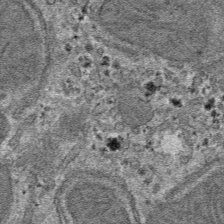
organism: Mouse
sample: Mouse hepatocytes